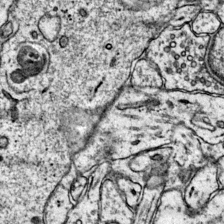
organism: Mouse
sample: Primary visual cortex